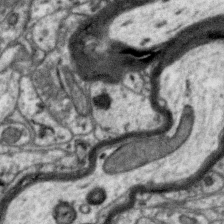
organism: Zebra finch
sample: Brain